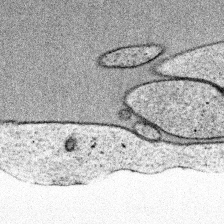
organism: Human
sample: HeLa cells